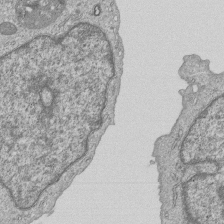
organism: Human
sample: MDA-MB-231 cells